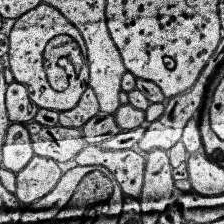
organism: Human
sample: Temporal Lobe